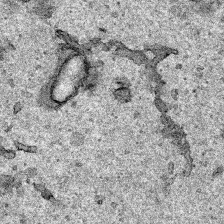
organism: Human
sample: Mitochondria in HCT116 cells